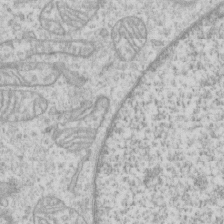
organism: Human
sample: CRL-1474